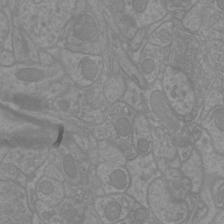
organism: Mouse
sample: Cortical neurons